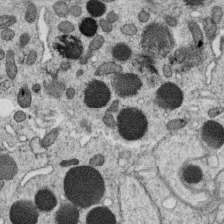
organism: C. elegans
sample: C. elegans oocyte; sperm cells